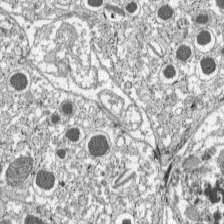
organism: C57BL Mouse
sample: Pancreatic islet